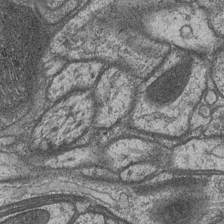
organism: Drosophila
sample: Optic medulla